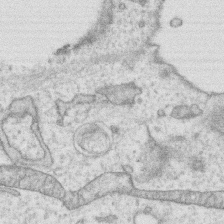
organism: Human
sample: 1205lu cells